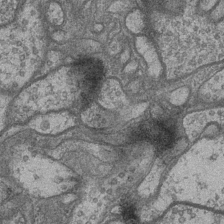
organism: Drosophila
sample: Optic medulla